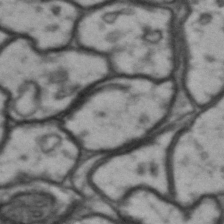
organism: Drosophila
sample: Brain